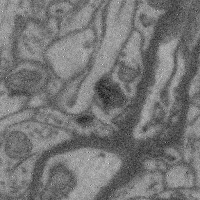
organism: Mouse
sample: Cerebral cortex